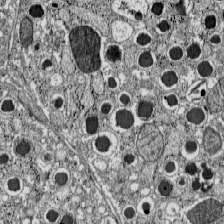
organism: C57BL Mouse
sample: Pancreatic islet